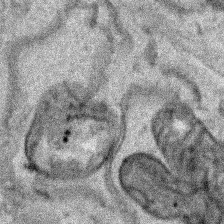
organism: Human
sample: Mitochondria in HCT116 cells